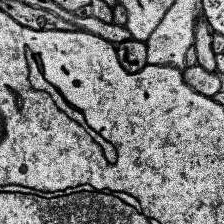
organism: Human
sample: Temporal Lobe